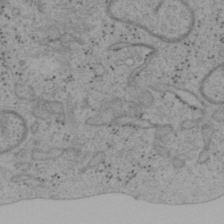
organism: Human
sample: HeLa cells